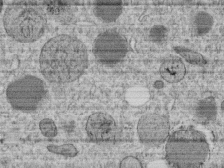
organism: C. elegans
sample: C. elegans embryo early stage